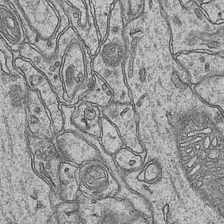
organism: Mouse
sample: CA1 Hippocampus